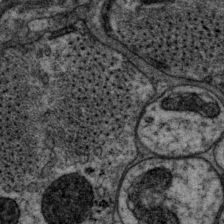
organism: P. pacificus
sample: Pharynx